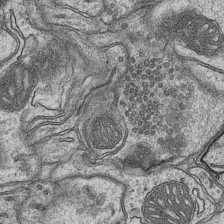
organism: Mouse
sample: CA1 Hippocampus